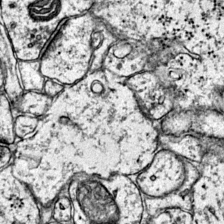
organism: Mouse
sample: Primary visual cortex